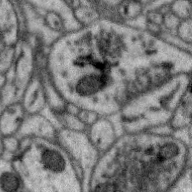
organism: Zebra finch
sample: Brain